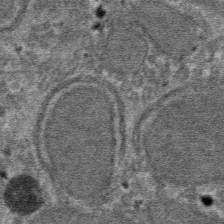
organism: Mouse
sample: Mouse hepatocytes